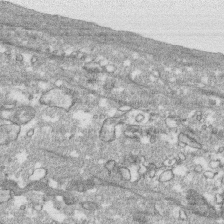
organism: Human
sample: CRL-1474